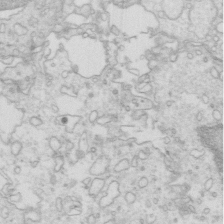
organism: Mouse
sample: Multiciliated cells